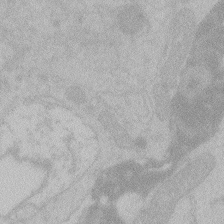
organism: Zebrafish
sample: Macrophage infected with Toxoplasma gondii